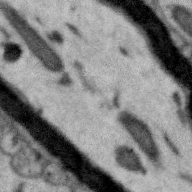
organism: Zebra finch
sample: Brain